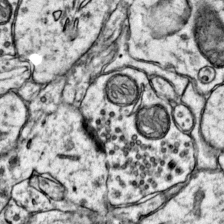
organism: Mouse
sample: Primary visual cortex